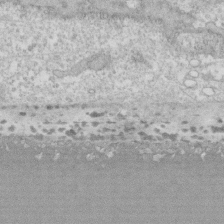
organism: Human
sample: CRL-1474